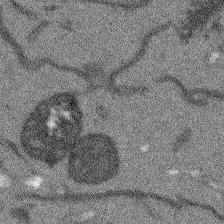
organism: Arabidopsis thaliana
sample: Root tip